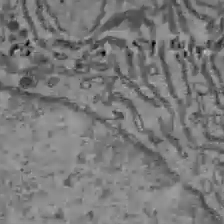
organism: C57BL Mouse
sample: Liver